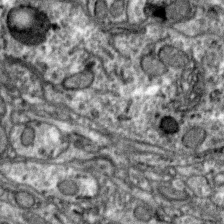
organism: Zebra finch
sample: Brain